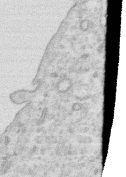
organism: Human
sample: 1205lu cells